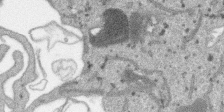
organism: Human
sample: Lung epithelial cells infected with SARS-CoV-2